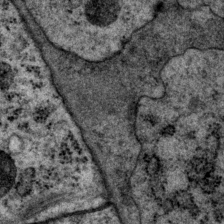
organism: P. pacificus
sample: Pharynx